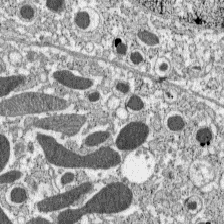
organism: C57BL Mouse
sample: Pancreatic islet